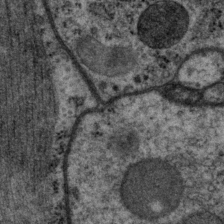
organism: P. pacificus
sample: Pharynx